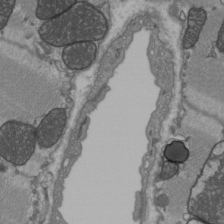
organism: C57BL Mouse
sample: Heart